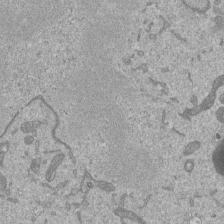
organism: Mouse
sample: ED-1 cell nuclei; centrioles